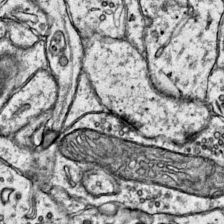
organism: Mouse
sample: Primary visual cortex